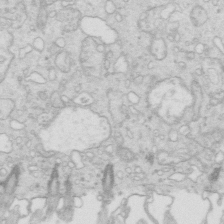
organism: Mouse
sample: Multiciliated cells